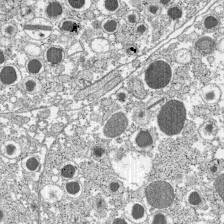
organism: C57BL Mouse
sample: Pancreatic islet